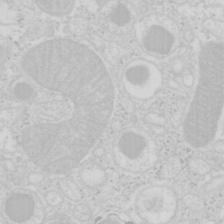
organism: Mouse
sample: Pancreas